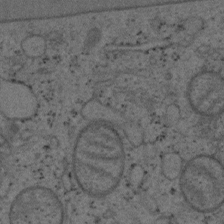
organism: Human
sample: HeLa cells